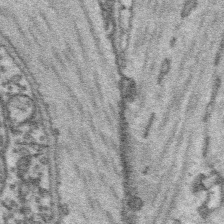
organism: Platynereis dumerilii